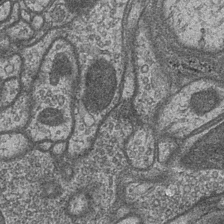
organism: Drosophila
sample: Optic medulla